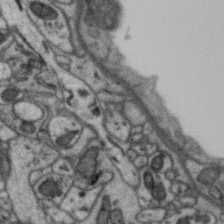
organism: Zebra finch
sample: Brain